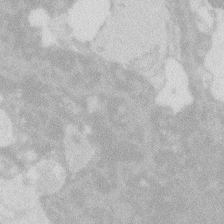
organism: Zebrafish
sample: Macrophage